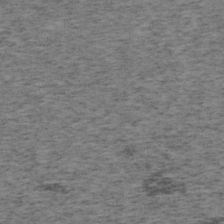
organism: Mouse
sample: OT-I killer T cells with ID8 ovarian cancer cells